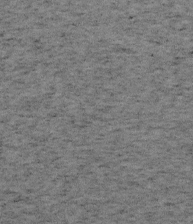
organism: Mouse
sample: OT-I killer T cells with ID8 ovarian cancer cells